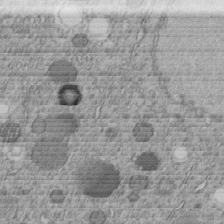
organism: C. elegans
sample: C. elegans embryo early stage